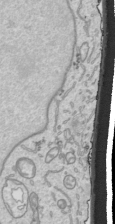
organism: Human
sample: Mitochondria in HCT116 cells